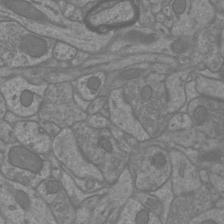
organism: Mouse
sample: Cortical neurons